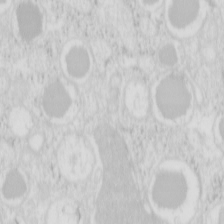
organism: Mouse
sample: Pancreas